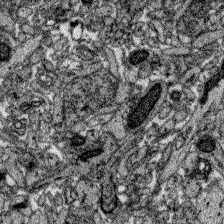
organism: Zebrafish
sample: Larval olfactory bulb